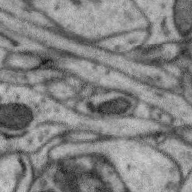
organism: Zebra finch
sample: Brain